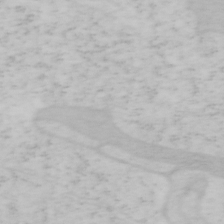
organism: Mouse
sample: OT-I killer T cells with ID8 ovarian cancer cells